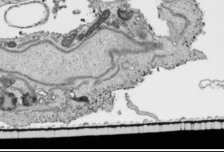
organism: Human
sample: Mitochondria in HCT116 cells